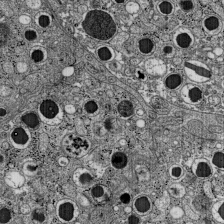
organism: C57BL Mouse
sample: Pancreatic islet